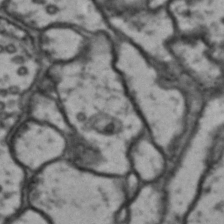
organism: Drosophila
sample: Brain